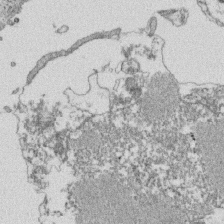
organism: Human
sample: HeLa cell HIV synapse